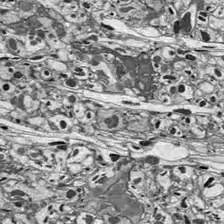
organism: Drosophila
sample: Optic lobe